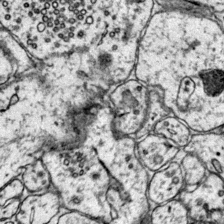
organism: Mouse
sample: Primary visual cortex